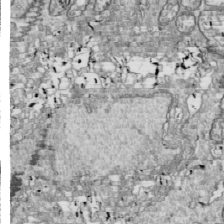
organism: Drosophila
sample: Cell division; meiosis; drosophila spermatocytes